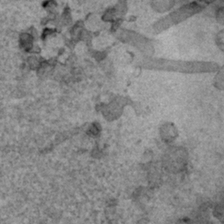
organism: Human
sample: Mitochondria in HCT116 cells